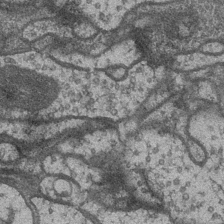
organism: Drosophila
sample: Optic medulla